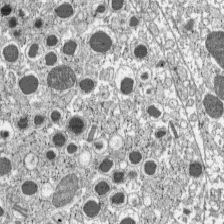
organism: C57BL Mouse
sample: Pancreatic islet